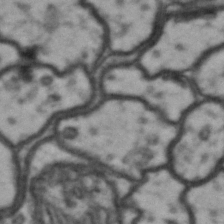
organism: Drosophila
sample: Brain